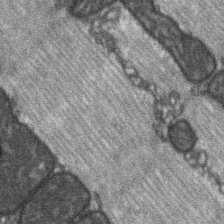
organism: C57BL Mouse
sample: Soleus